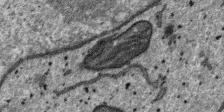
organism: Human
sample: Lung epithelial cells, uninfected (mock) control